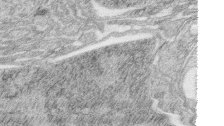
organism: Zebrafish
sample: synaptic ribbons in rod cells and cone cells